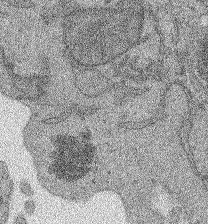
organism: Human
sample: HeLa cells